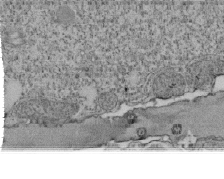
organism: Tetrahymena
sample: Cilia in tetrahymena